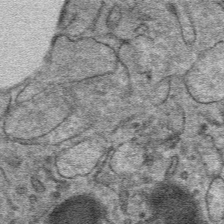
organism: Mouse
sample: Mouse hepatocytes